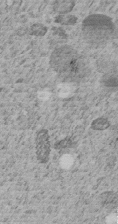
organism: C. elegans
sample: C. elegans embryo early stage